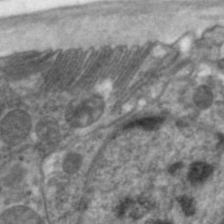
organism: C. elegans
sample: Pharynx